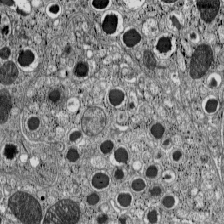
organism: C57BL Mouse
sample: Pancreatic islet